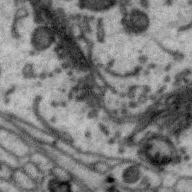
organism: Zebra finch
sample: Brain